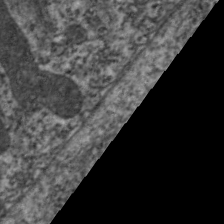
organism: C. elegans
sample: Pharynx